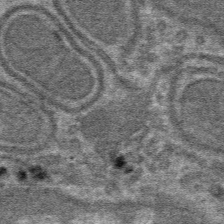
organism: Mouse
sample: Mouse hepatocytes